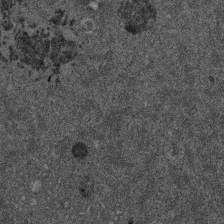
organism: Mouse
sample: Dividing mouse embryo 1 cell stage